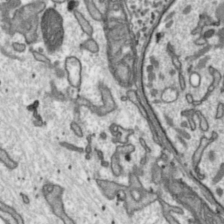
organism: Toxoplasma gondii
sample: Parasites in a vacuole inside a host cell